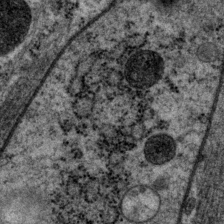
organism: P. pacificus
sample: Pharynx